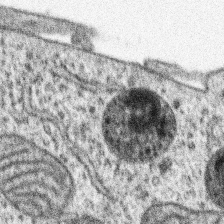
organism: Human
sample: HeLa cells